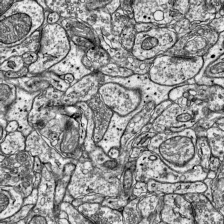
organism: Mouse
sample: Visual Cortex